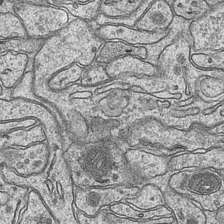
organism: Mouse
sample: CA1 Hippocampus